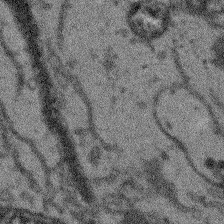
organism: Arabidopsis thaliana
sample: Root tip